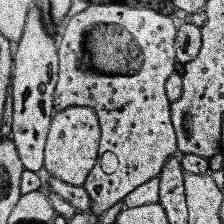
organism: Human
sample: Temporal Lobe